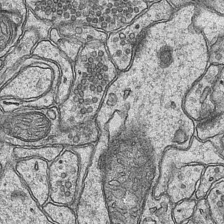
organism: Mouse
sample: CA1 Hippocampus